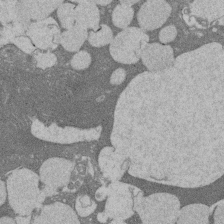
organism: Rat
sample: Salivary granule